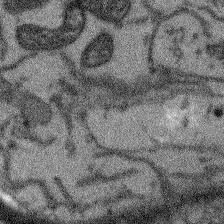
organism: Arabidopsis thaliana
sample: Root tip